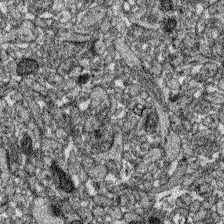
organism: Zebrafish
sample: Larval olfactory bulb